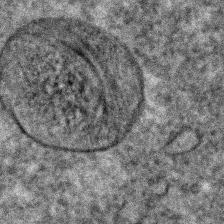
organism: C. elegans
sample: C. elegans embryo